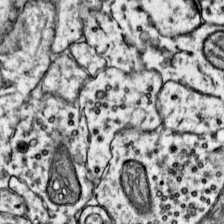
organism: Mouse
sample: Primary visual cortex